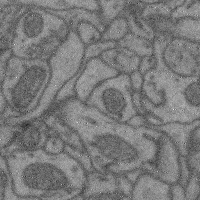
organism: Mouse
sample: Cerebral cortex